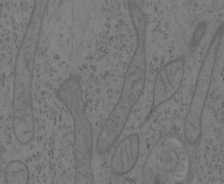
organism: Mouse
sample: OT-I killer T cells with ID8 ovarian cancer cells